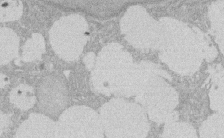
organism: Rat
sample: Salivary granule